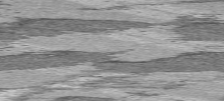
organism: C57BL Mouse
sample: Heart